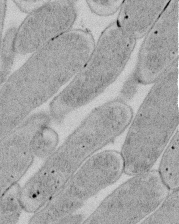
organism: E. coli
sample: Bacterial nucleoid